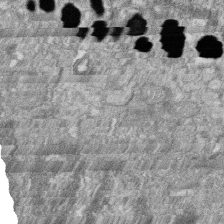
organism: Zebrafish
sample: Cilia; retinal pigment epithelium